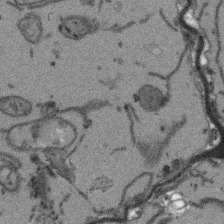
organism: Arabidopsis thaliana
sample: Root tip